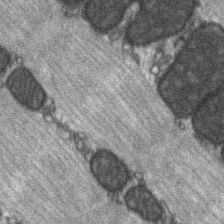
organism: C57BL Mouse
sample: Soleus